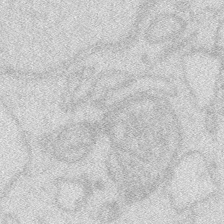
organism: Zebrafish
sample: Macrophage